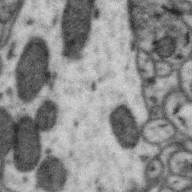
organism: Zebra finch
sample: Brain